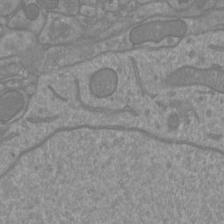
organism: Mouse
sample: Cortical neurons